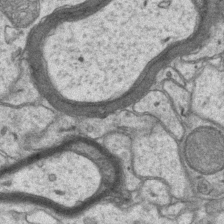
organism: Mouse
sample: CA1 Hippocampus